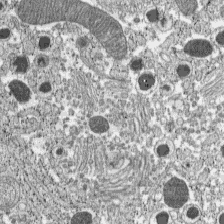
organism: C57BL Mouse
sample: Pancreatic islet